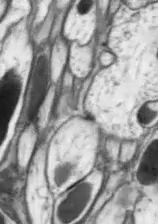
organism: Drosophila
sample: Optic lobe